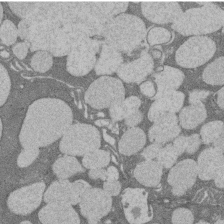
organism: Rat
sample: Salivary granule